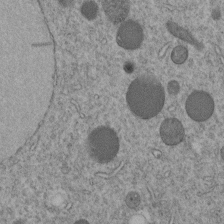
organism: C. elegans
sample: C. elegans embryo early stage